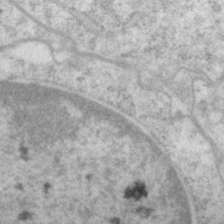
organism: P. pacificus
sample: Pharynx